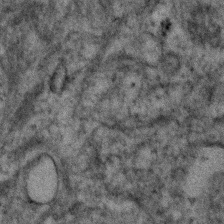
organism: Human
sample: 1205lu cells